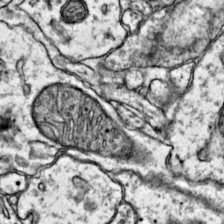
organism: Mouse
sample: Primary visual cortex